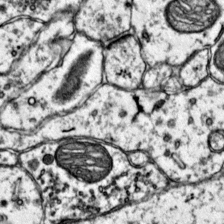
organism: Mouse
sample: Primary visual cortex